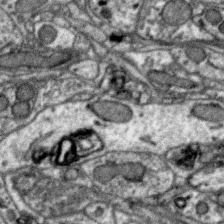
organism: Zebra finch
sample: Brain